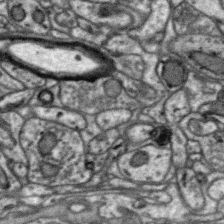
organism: Zebra finch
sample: Brain